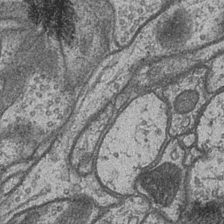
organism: Drosophila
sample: Optic medulla